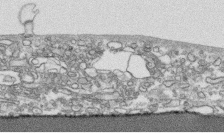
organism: Human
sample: CRL-1474